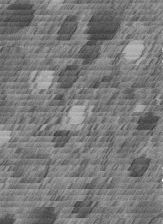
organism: C. elegans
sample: C. elegans embryo early stage